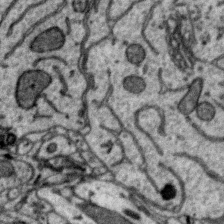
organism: Zebra finch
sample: Brain